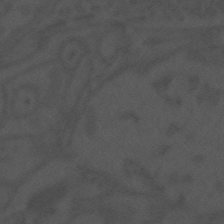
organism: Mouse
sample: Suprachiasmatic nucleus